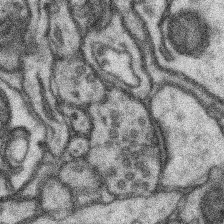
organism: Mouse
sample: Somatosensory cortex neuropil